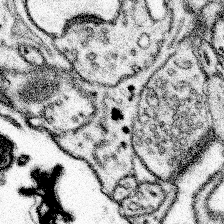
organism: Mouse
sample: Somatosensory cortex neuropil